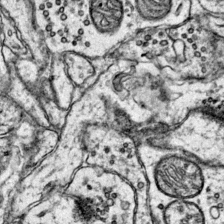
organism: Mouse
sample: Primary visual cortex